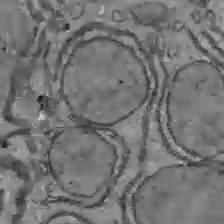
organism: C57BL Mouse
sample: Liver